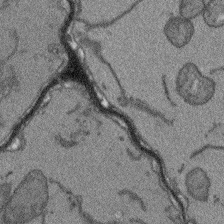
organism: Arabidopsis thaliana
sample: Root tip